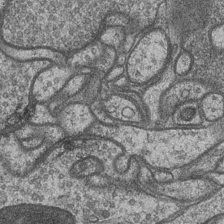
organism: Drosophila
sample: Optic medulla